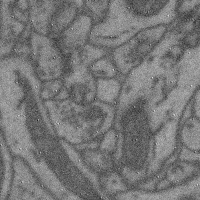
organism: Mouse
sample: Cerebral cortex